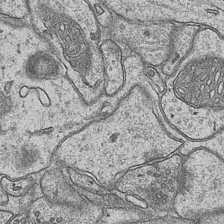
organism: Mouse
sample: CA1 Hippocampus